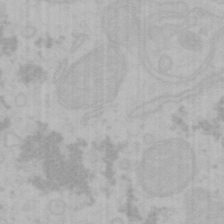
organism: Mouse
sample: Choroid plexus